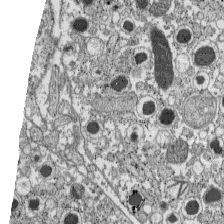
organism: C57BL Mouse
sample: Pancreatic islet